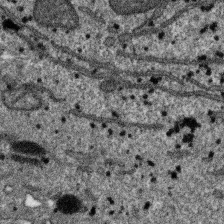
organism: Human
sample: Lung epithelial cells infected with SARS-CoV-2